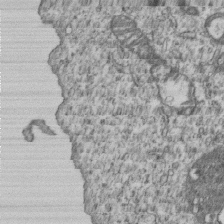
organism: Human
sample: MDA-MB-231 cells